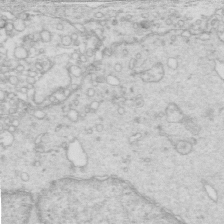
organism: Mouse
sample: Multiciliated cells